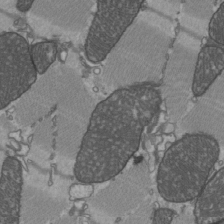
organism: C57BL Mouse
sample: Heart